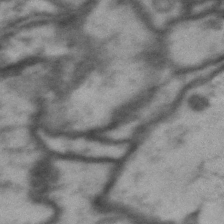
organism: Drosophila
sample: Brain